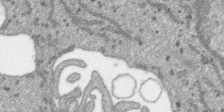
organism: Human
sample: Lung epithelial cells infected with SARS-CoV-2